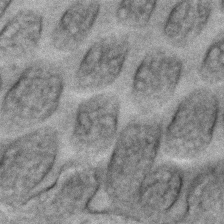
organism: C. elegans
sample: C. elegans embryo